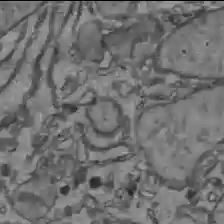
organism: C57BL Mouse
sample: Liver